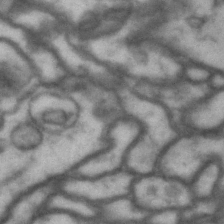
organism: Drosophila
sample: Brain